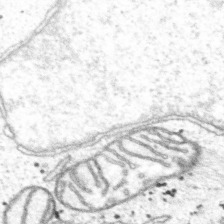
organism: Human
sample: HeLa cells